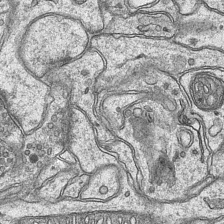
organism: Mouse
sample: CA1 Hippocampus